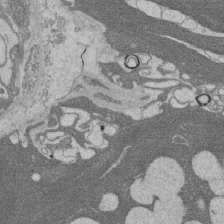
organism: Rat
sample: Salivary granule